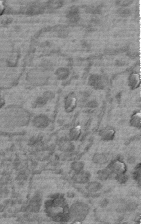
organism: C. elegans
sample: C. elegans embryo early stage